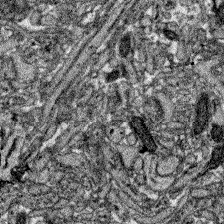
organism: Zebrafish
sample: Larval olfactory bulb